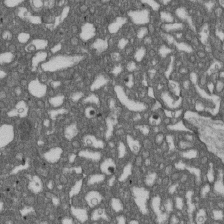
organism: Drosophila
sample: Nephrocyte